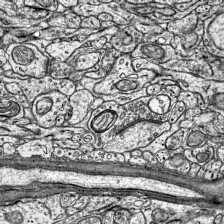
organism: Mouse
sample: Visual Cortex